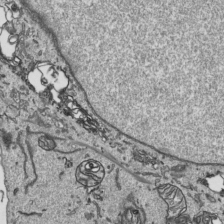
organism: Human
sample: Mitochondria in HCT116 cells